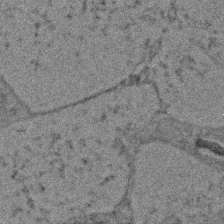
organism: Zebrafish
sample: Zebrafish embryo